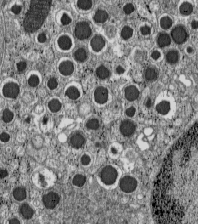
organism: C57BL Mouse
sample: Pancreatic islet